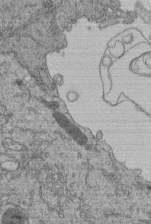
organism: Human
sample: Retinal organoid Rod and Cone cells